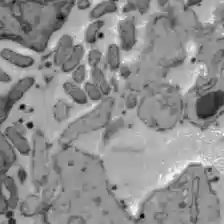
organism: C57BL Mouse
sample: Liver